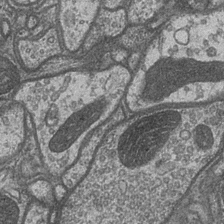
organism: Drosophila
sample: Optic medulla